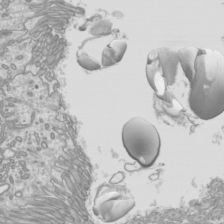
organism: Mouse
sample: Cilia; mouse epididymis